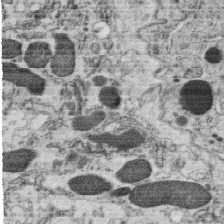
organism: C. elegans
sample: C. elegans oocyte; sperm cells